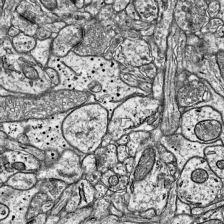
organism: Mouse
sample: Visual Cortex